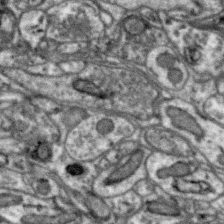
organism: Zebra finch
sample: Brain